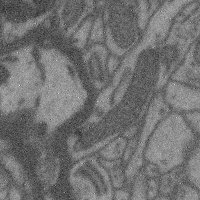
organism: Mouse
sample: Cerebral cortex